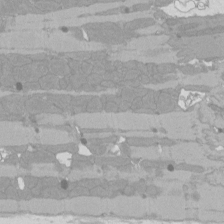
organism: Rat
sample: Left ventricle